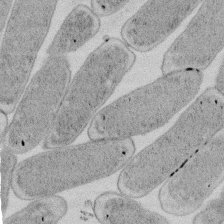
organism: E. coli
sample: Bacterial nucleoid